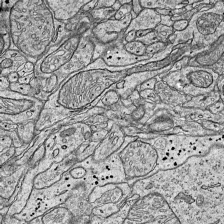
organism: Mouse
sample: Visual Cortex